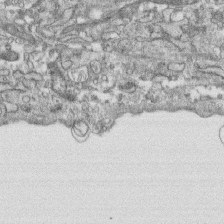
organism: Human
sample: CRL-1474